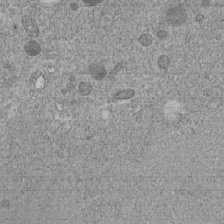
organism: C. elegans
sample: C. elegans embryo early stage